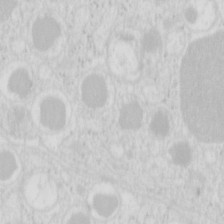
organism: Mouse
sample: Pancreas